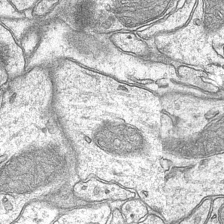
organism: Mouse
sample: CA1 Hippocampus